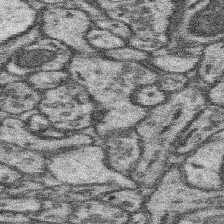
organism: Mouse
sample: Somatosensory cortex neuropil